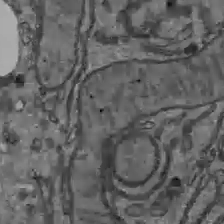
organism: C57BL Mouse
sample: Liver